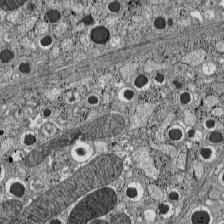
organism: C57BL Mouse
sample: Pancreatic islet